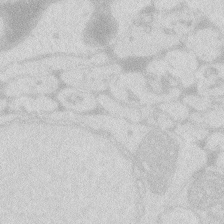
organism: Zebrafish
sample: Macrophage